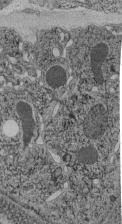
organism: C. elegans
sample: C. elegans pharynx